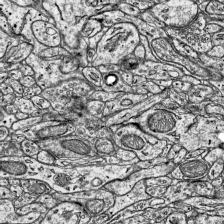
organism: Mouse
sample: Visual Cortex